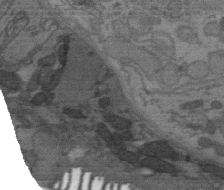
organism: C. elegans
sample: AFD neurons C. elegans